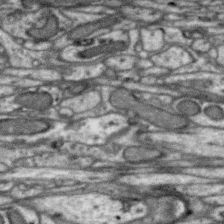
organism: Zebra finch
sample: Brain